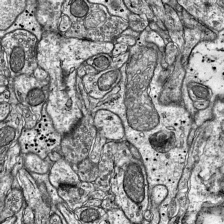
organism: Mouse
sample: Visual Cortex